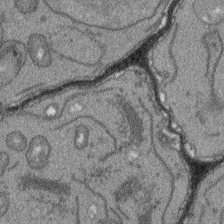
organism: Arabidopsis thaliana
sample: Root tip